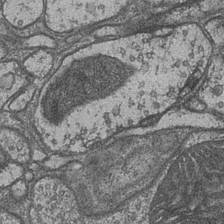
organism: Drosophila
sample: Optic medulla